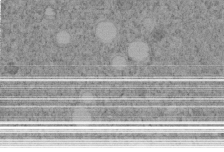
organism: C. elegans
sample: C. elegans embryo early stage